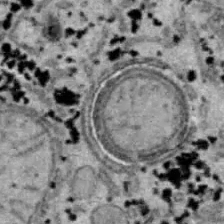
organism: Mouse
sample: Liver from an obese (ob/ob) mouse